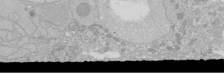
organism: Human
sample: Caco-2 cells